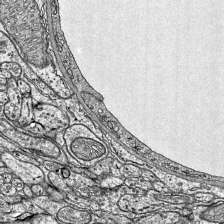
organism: Mouse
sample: Visual Cortex